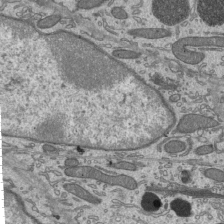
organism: Mouse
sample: Mouse epididymis efferent ductule cilia